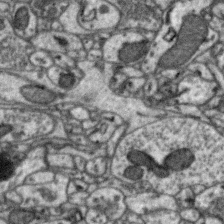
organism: Zebra finch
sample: Brain